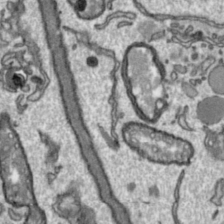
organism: Toxoplasma gondii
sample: Parasites in a vacuole inside a host cell